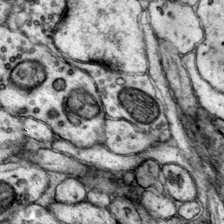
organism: Mouse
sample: Primary visual cortex